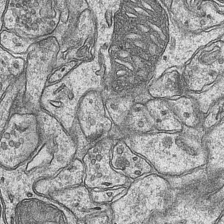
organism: Mouse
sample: CA1 Hippocampus